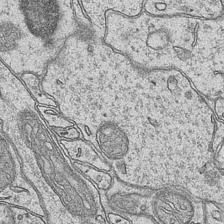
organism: Mouse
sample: CA1 Hippocampus